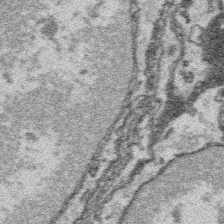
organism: Platynereis dumerilii